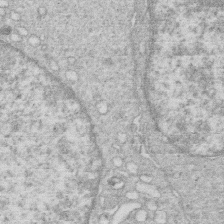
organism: Human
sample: Macrophage cells